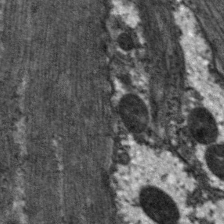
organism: C. elegans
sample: Pharynx